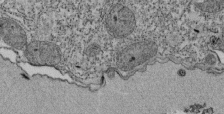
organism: Tetrahymena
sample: Cilia in tetrahymena